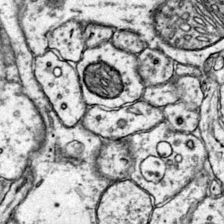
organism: Mouse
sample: Primary visual cortex